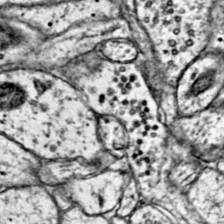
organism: Mouse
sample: Primary visual cortex